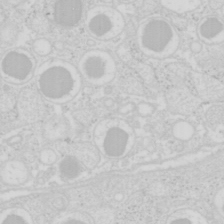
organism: Mouse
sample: Pancreas